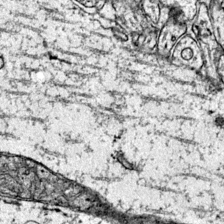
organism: Mouse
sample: Primary visual cortex